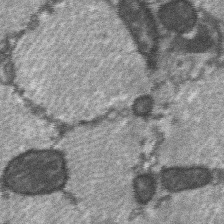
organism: C57BL Mouse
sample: Soleus